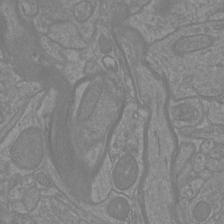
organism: Mouse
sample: Cortical neurons